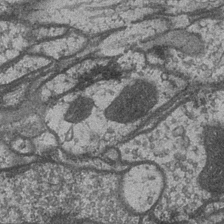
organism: Drosophila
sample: Optic medulla